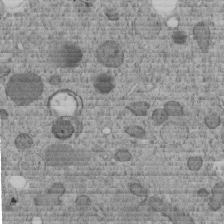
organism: C. elegans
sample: C. elegans embryo early stage